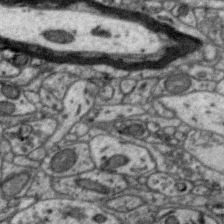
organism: Zebra finch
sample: Brain